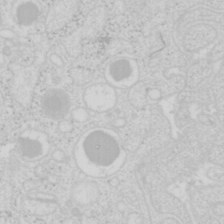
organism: Mouse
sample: Pancreas